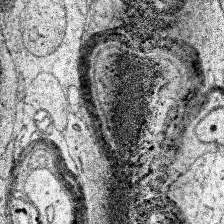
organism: Human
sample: Temporal Lobe